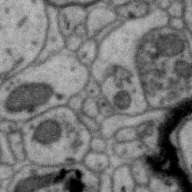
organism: Zebra finch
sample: Brain